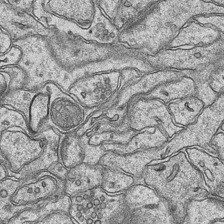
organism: Mouse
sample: CA1 Hippocampus